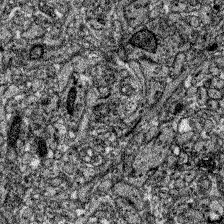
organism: Zebrafish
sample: Larval olfactory bulb